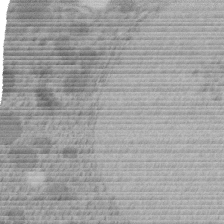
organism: C. elegans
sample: C. elegans embryo early stage